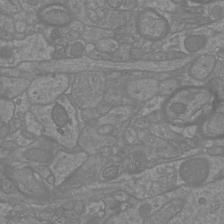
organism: Mouse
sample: Cortical neurons